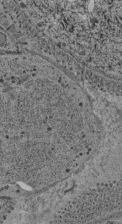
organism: C. elegans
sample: C. elegans pharynx